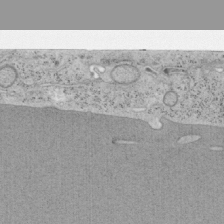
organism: Human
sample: HeLa cells